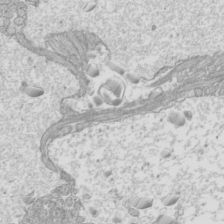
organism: Mouse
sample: Cilia; mouse epididymis